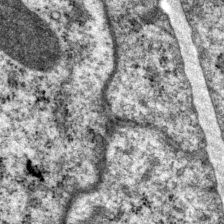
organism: P. pacificus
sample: Pharynx